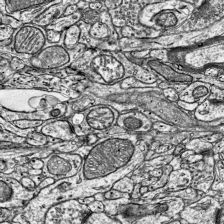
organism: Mouse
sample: Visual Cortex